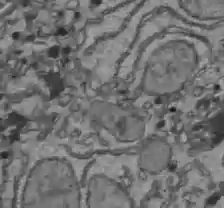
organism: C57BL Mouse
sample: Liver